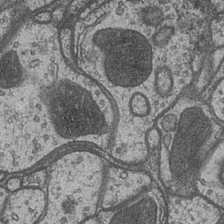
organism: Drosophila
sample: Optic medulla